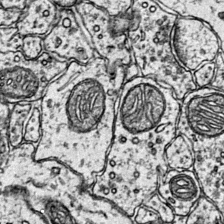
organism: Mouse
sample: Primary visual cortex